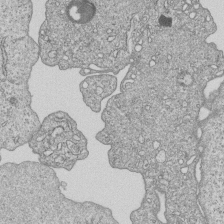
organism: Human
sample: MDA-MB-231 cells